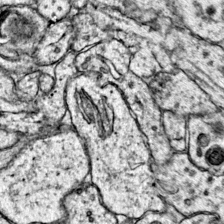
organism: Mouse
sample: Primary visual cortex